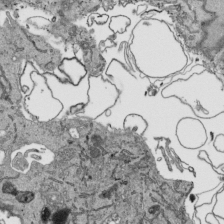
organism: Human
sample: Mitochondria in HCT116 cells